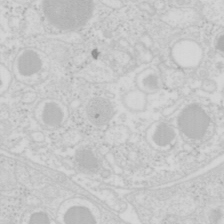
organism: Mouse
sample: Pancreas